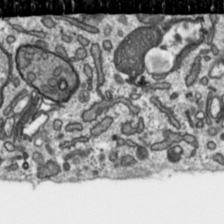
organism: Toxoplasma gondii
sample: Parasites in a vacuole inside a host cell